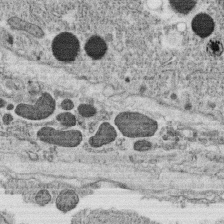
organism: C. elegans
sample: C. elegans oocyte; sperm cells